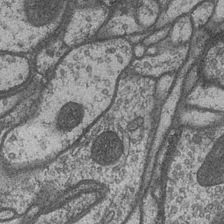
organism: Drosophila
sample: Optic medulla